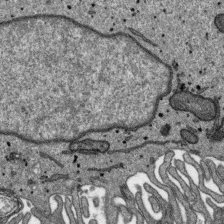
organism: Human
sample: Lung epithelial cells, uninfected (mock) control